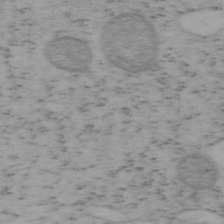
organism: Mouse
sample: OT-I killer T cells with ID8 ovarian cancer cells